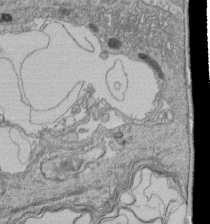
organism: Human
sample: Retinal organoid Rod and Cone cells